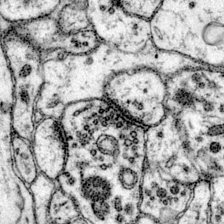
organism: Mouse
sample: Primary visual cortex